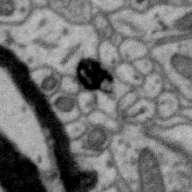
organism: Zebra finch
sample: Brain